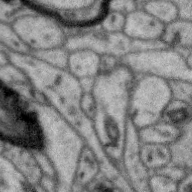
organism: Zebra finch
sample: Brain